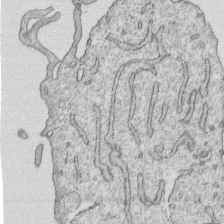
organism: Human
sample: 1205lu cells